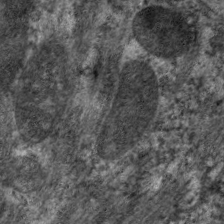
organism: C. elegans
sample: Pharynx